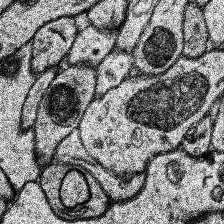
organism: Human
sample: Temporal Lobe